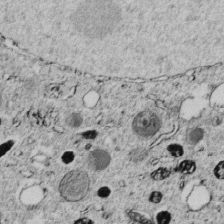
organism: C. elegans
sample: C. elegans embryo early stage